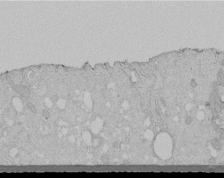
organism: Human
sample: Melanocyte Keratinocyte synapse skin construct